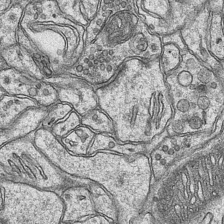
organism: Mouse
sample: CA1 Hippocampus